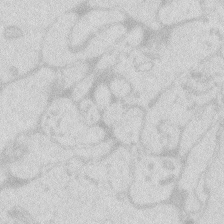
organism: Zebrafish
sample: Macrophage